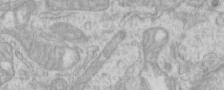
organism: Human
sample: Centriole in RPE cells